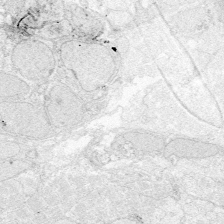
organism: Zebrafish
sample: Whole-Brain